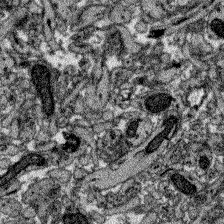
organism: Zebrafish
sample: Larval olfactory bulb